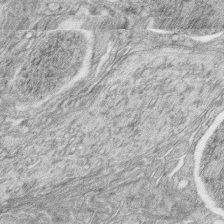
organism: Zebrafish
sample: synaptic ribbons in rod cells and cone cells